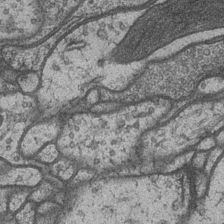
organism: Drosophila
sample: Optic medulla